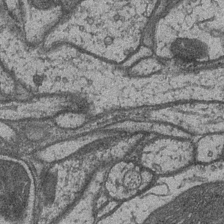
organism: Drosophila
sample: Optic medulla